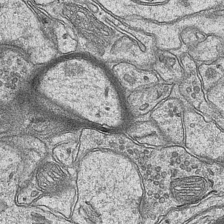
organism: Mouse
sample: CA1 Hippocampus